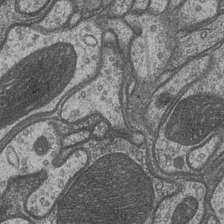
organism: Drosophila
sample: Optic medulla